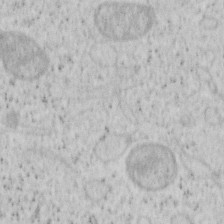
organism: Human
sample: HeLa cells